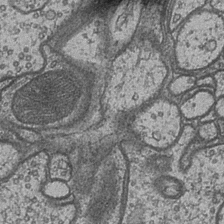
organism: Drosophila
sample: Optic medulla